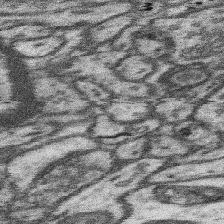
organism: Mouse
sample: Somatosensory cortex neuropil